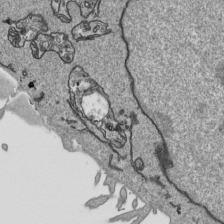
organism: Human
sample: Mitochondria in HCT116 cells